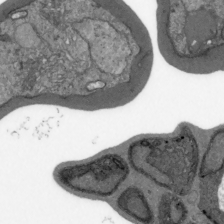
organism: Plasmodium falciparum